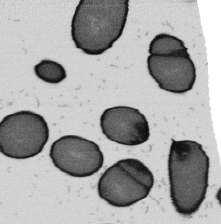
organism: B. subtilis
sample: Bacterial spore